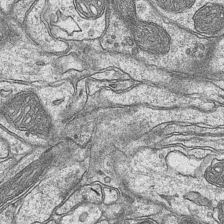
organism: Mouse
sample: CA1 Hippocampus